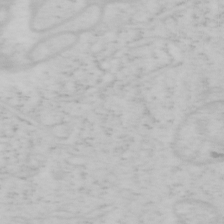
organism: Mouse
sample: OT-I killer T cells with ID8 ovarian cancer cells